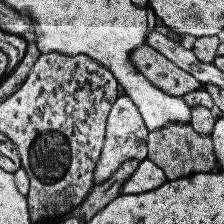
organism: Human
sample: Temporal Lobe